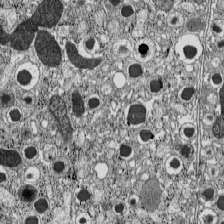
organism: C57BL Mouse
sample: Pancreatic islet